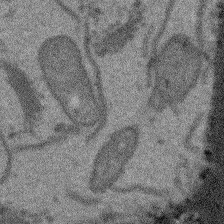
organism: Arabidopsis thaliana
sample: Root tip